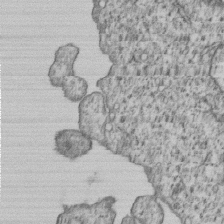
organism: Human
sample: MDA-MB-231 cells